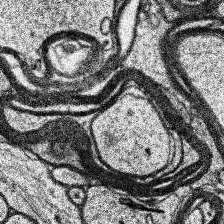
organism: Human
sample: Temporal Lobe